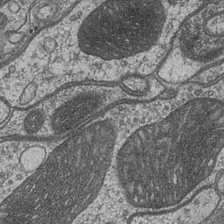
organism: Drosophila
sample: Optic medulla